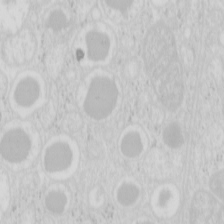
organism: Mouse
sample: Pancreas